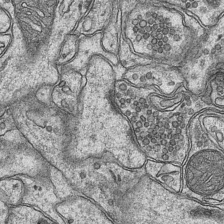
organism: Mouse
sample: CA1 Hippocampus